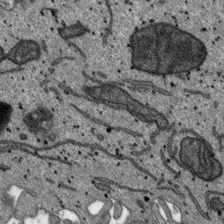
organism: Human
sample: Lung epithelial cells, uninfected (mock) control